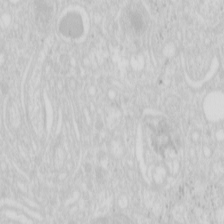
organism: Mouse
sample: Pancreas